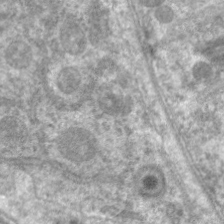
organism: C. elegans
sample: Pharynx